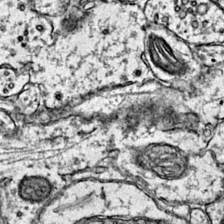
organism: Mouse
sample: Primary visual cortex